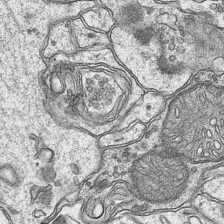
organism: Mouse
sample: CA1 Hippocampus